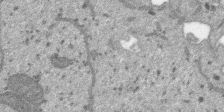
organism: Human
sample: Lung epithelial cells infected with SARS-CoV-2